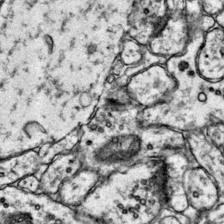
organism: Mouse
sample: Primary visual cortex